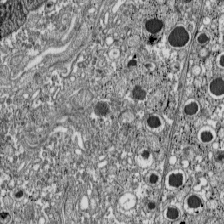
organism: C57BL Mouse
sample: Pancreatic islet